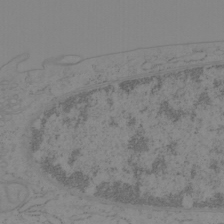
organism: Human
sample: HeLa cells